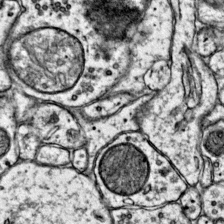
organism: Mouse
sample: Primary visual cortex